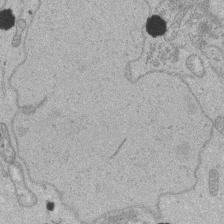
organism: Human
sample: Activated Jurkat CD4+ T cells